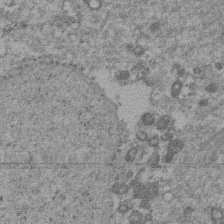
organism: Mouse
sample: Dividing mouse embryo 1 cell stage